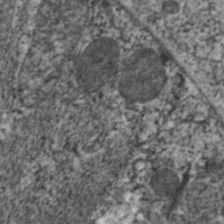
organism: C. elegans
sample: Pharynx